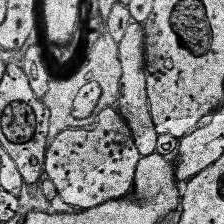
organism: Human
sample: Temporal Lobe